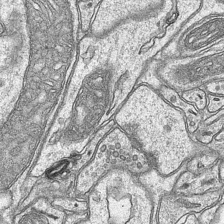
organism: Mouse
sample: CA1 Hippocampus